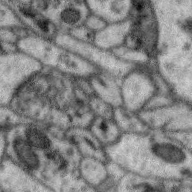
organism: Zebra finch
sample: Brain